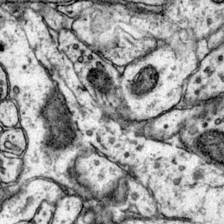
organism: Mouse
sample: Primary visual cortex